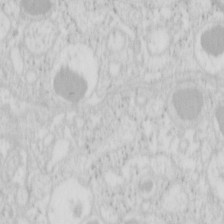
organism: Mouse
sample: Pancreas